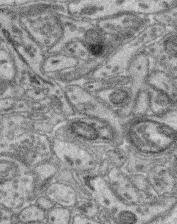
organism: Mouse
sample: Retina